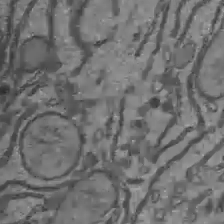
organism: C57BL Mouse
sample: Liver